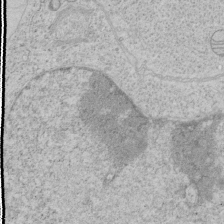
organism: Human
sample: Mitochondria in HCT116 cells